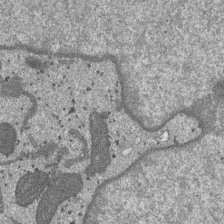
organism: Human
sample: Lung epithelial cells infected with SARS-CoV-2